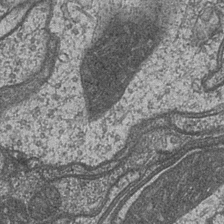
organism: Drosophila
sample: Optic medulla